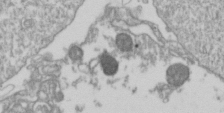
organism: Drosophila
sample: Cell division; meiosis; drosophila spermatocytes